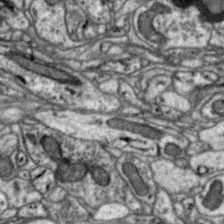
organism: Zebra finch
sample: Brain